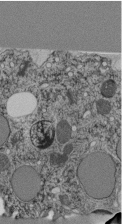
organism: C. elegans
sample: C. elegans pharynx